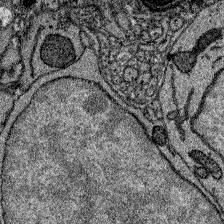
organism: Zebrafish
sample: Larval olfactory bulb